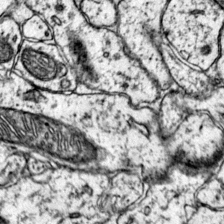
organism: Mouse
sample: Primary visual cortex